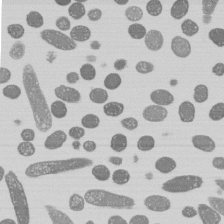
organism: E. coli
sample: Bacterial nucleoid